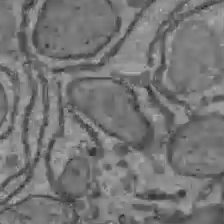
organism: C57BL Mouse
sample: Liver